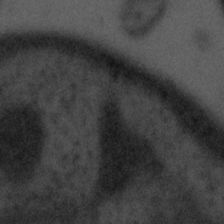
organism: Tuwongella immobilis